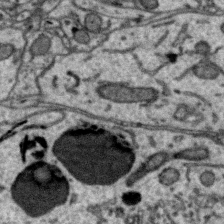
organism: Zebra finch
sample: Brain